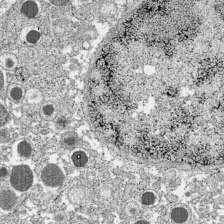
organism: C57BL Mouse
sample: Pancreatic islet